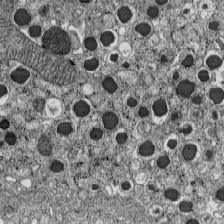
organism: C57BL Mouse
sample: Pancreatic islet